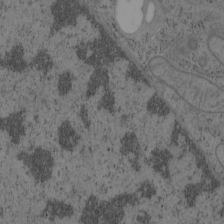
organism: Mouse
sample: OT-I killer T cells with ID8 ovarian cancer cells